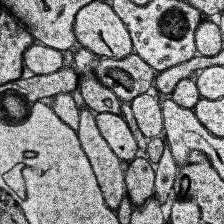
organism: Human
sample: Temporal Lobe